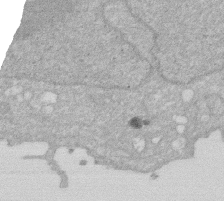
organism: Human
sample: HIV infected U937 cells